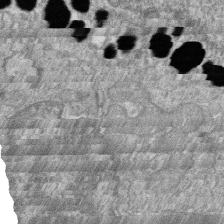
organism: Zebrafish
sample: Cilia; retinal pigment epithelium